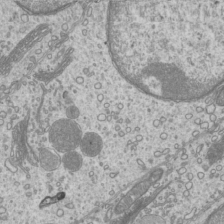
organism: Mouse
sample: Cilia; mouse epididymis